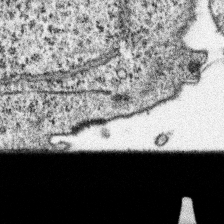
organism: Human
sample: HeLa cells